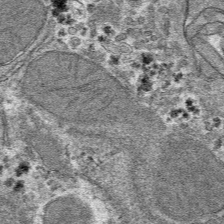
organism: Mouse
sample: Mouse hepatocytes